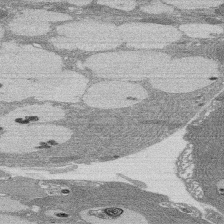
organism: Rat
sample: Salivary granule